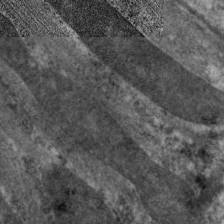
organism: C. elegans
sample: Pharynx